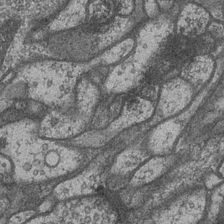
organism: Drosophila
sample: Optic medulla